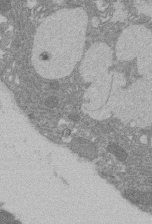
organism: Rat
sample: Salivary granule